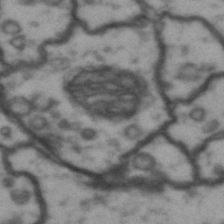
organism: Drosophila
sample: Brain